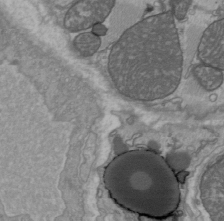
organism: C57BL Mouse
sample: Heart